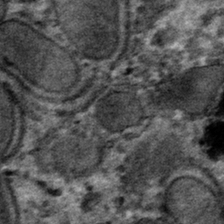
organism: Mouse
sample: Mouse hepatocytes